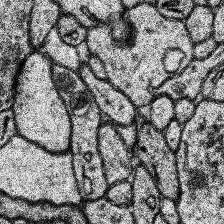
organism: Human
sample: Temporal Lobe